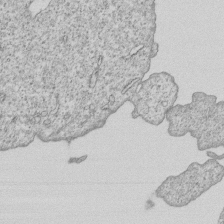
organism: Human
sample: MDA-MB-231 cells